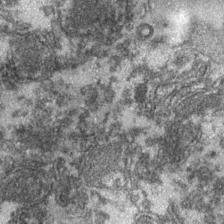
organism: Zebrafish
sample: Zebrafish embryo